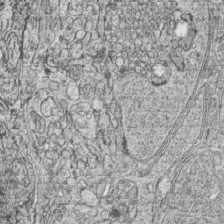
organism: Zebrafish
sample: synaptic ribbons in rod cells and cone cells